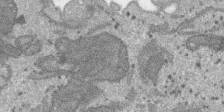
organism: Human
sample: Lung epithelial cells infected with SARS-CoV-2